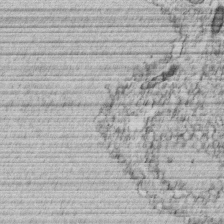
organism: C. elegans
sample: C. elegans embryo early stage